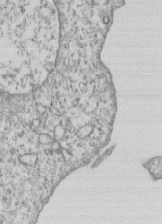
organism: Human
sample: MDA-MB-231 cells